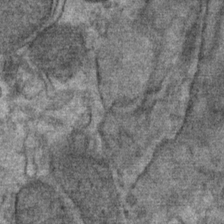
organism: Mouse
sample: Mouse Salivary gland